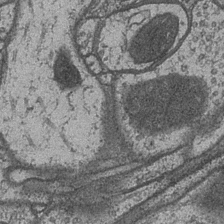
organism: Drosophila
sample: Optic medulla